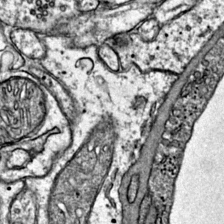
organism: Mouse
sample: Primary visual cortex